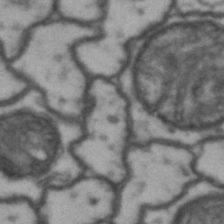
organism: Drosophila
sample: Brain